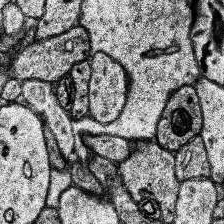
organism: Human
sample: Temporal Lobe